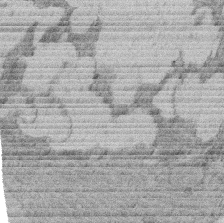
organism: Rat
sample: Salivary granule